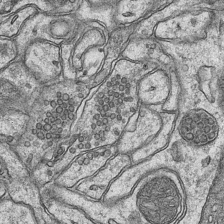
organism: Mouse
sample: CA1 Hippocampus